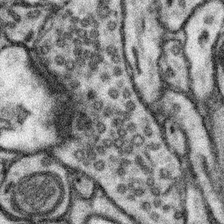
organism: Mouse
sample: Somatosensory cortex neuropil